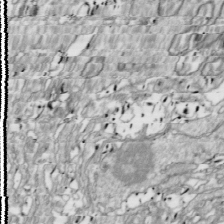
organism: Drosophila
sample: Cell division; meiosis; drosophila spermatocytes